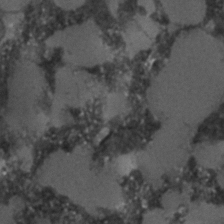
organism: C. elegans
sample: C. elegans embryo